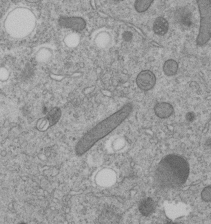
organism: C. elegans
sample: C. elegans embryo early stage